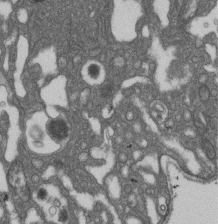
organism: Drosophila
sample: Nephrocyte